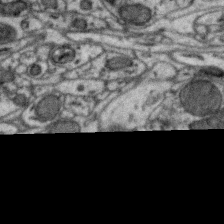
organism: Zebra finch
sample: Brain